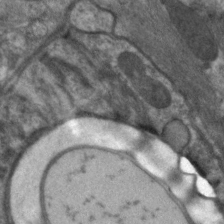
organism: C. elegans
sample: Pharynx